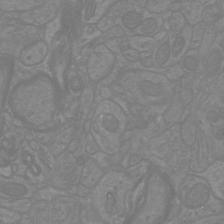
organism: Mouse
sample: Cortical neurons